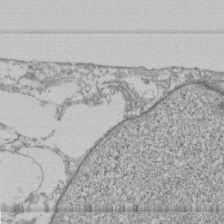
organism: Human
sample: Fibroblast cells